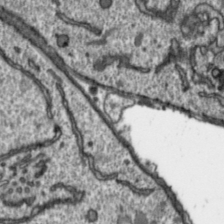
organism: Toxoplasma gondii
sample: Parasites in a vacuole inside a host cell